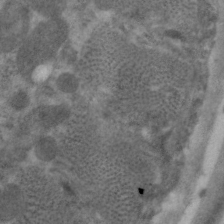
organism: C. elegans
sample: Pharynx